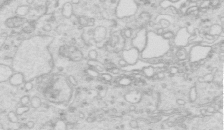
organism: Mouse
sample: Multiciliated cells